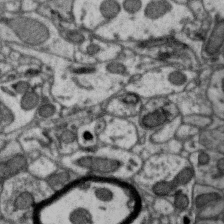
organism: Zebra finch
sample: Brain